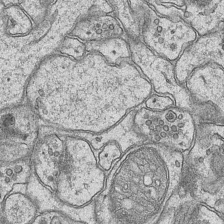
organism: Mouse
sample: CA1 Hippocampus